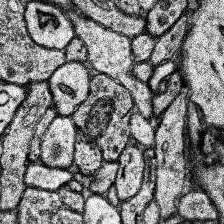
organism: Human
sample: Temporal Lobe